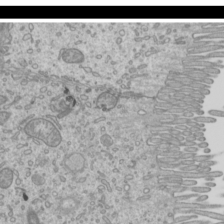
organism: Mouse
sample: Cilia; mouse epididymis